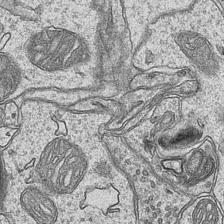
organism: Mouse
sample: CA1 Hippocampus